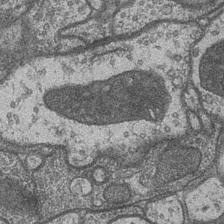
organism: Drosophila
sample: Optic medulla